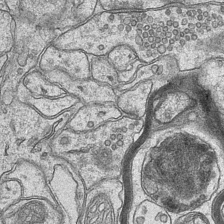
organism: Mouse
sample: CA1 Hippocampus